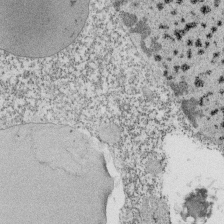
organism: Tetrahymena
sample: Cilia in tetrahymena